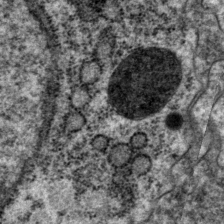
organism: P. pacificus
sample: Pharynx